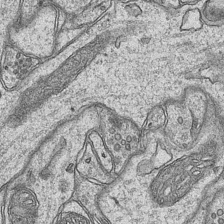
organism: Mouse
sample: CA1 Hippocampus